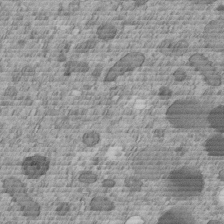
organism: C. elegans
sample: C. elegans embryo early stage